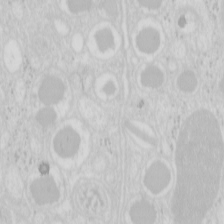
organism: Mouse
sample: Pancreas